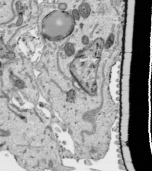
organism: Human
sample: Mitochondria in HCT116 cells